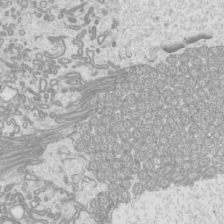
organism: Mouse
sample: Cilia; mouse epididymis